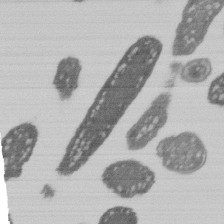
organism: E. coli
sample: Bacterial nucleoid